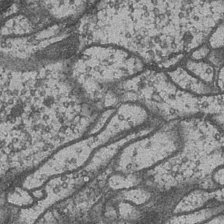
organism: Drosophila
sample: Optic medulla